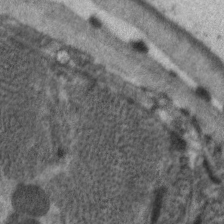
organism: C. elegans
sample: Pharynx